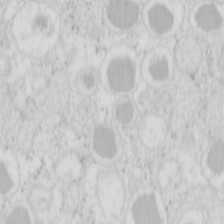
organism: Mouse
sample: Pancreas